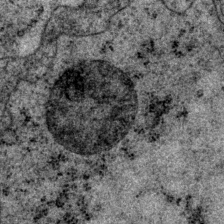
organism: P. pacificus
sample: Pharynx